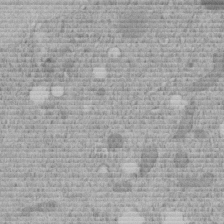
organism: C. elegans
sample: C. elegans embryo early stage